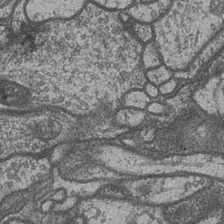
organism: Drosophila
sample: Optic medulla